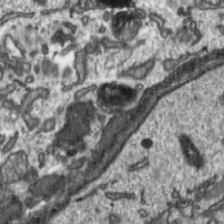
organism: Toxoplasma gondii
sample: Parasites in a vacuole inside a host cell